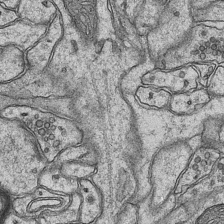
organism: Mouse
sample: CA1 Hippocampus